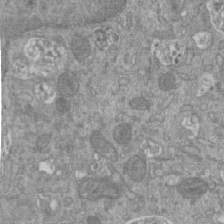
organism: Mouse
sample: ED-1 cell nuclei; centrioles